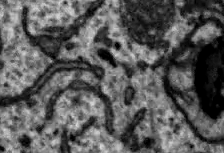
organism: Human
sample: HeLa cells